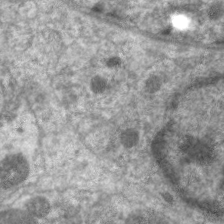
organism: C. elegans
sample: Pharynx